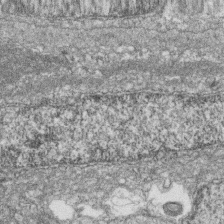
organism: Zebrafish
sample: Cilia; retinal pigment epithelium